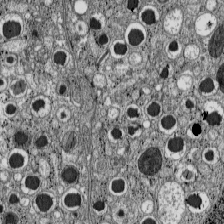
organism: C57BL Mouse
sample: Pancreatic islet